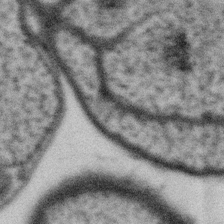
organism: Gemmata obscuriglobus